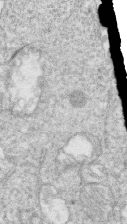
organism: Human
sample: HeLa cell HIV synapse